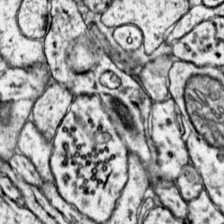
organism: Mouse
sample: Primary visual cortex